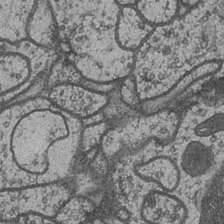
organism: Drosophila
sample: Optic medulla